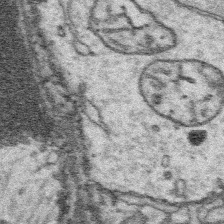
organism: Platynereis dumerilii